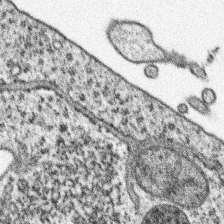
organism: Human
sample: HeLa cells